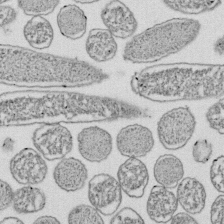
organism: E. coli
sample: Bacterial nucleoid